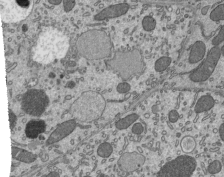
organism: Mouse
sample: Mouse epididymis efferent ductule cilia